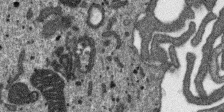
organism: Human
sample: Lung epithelial cells infected with SARS-CoV-2